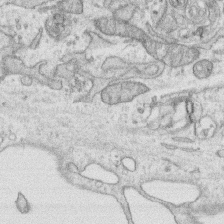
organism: Human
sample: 1205lu cells